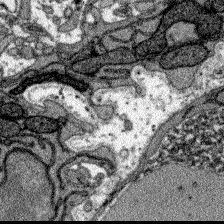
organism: Zebrafish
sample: Larval olfactory bulb